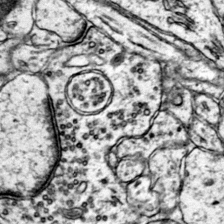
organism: Mouse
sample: Primary visual cortex